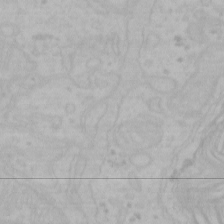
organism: Mouse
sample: Choroid plexus